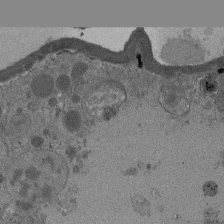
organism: Drosophila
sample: Antenna